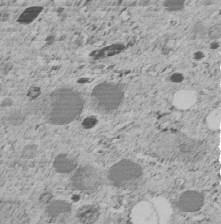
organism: C. elegans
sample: C. elegans embryo early stage